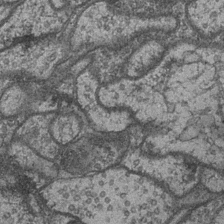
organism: Drosophila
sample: Optic medulla